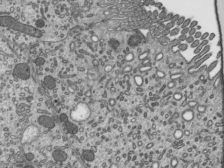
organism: Mouse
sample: Mouse epididymis efferent ductule cilia